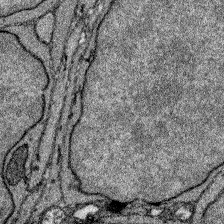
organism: Zebrafish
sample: Larval olfactory bulb